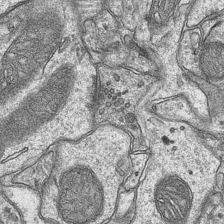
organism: Mouse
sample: CA1 Hippocampus